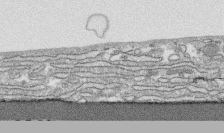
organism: Human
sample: CRL-1474